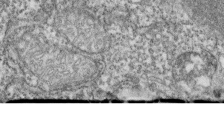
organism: Zebrafish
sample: Cilia; retinal pigment epithelium